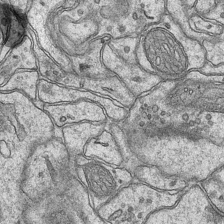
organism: Mouse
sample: CA1 Hippocampus